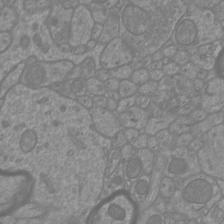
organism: Mouse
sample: Cortical neurons